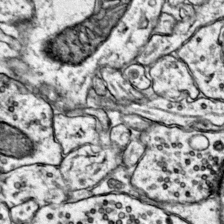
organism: Mouse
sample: Primary visual cortex